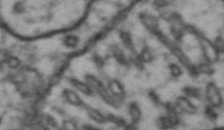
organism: Drosophila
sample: Brain